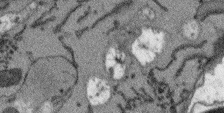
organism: Arabidopsis thaliana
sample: Root tip